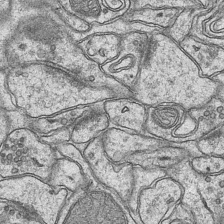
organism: Mouse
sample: CA1 Hippocampus